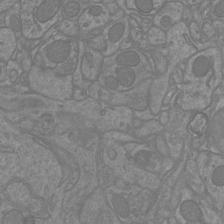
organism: Mouse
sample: Cortical neurons